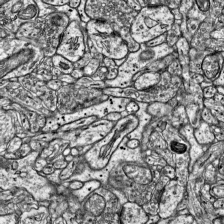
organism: Mouse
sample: Visual Cortex